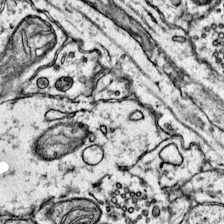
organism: Mouse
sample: Primary visual cortex